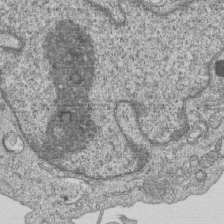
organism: Human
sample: MDA-MB-231 cells